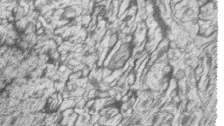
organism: Zebrafish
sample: synaptic ribbons in rod cells and cone cells